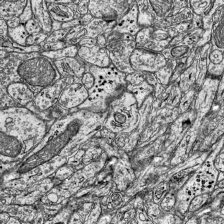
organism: Mouse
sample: Visual Cortex